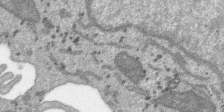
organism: Human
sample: Lung epithelial cells infected with SARS-CoV-2